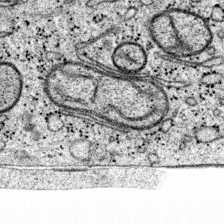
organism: Human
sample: HeLa cells